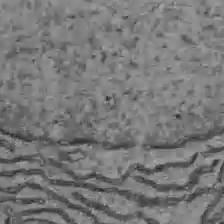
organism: C57BL Mouse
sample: Liver